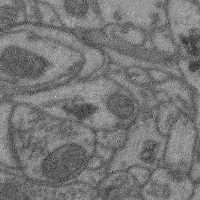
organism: Mouse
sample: Cerebral cortex